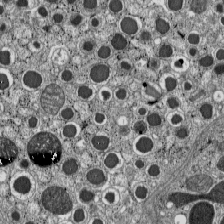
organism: C57BL Mouse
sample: Pancreatic islet